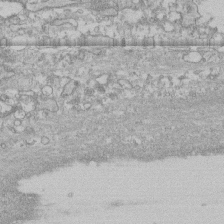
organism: Human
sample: CRL-1474